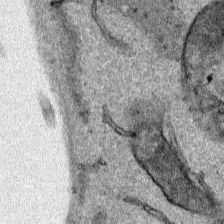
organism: Human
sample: Mitochondria in HCT116 cells